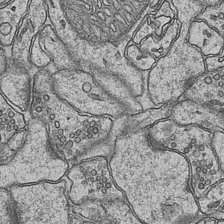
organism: Mouse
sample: CA1 Hippocampus